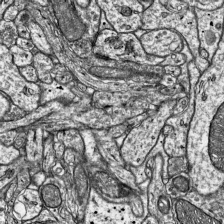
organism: Mouse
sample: Visual Cortex